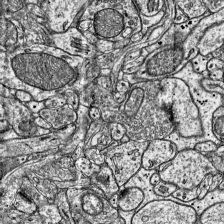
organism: Mouse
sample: Visual Cortex